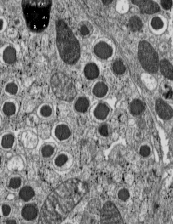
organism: C57BL Mouse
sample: Pancreatic islet